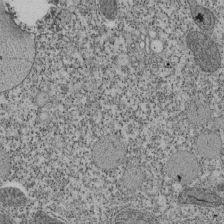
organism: Tetrahymena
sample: Cilia in tetrahymena